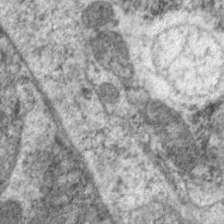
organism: C. elegans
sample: Pharynx